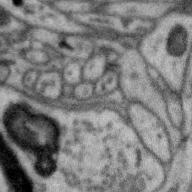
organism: Zebra finch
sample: Brain